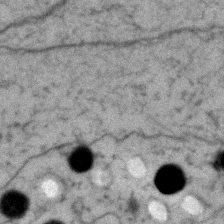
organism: Zebrafish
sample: Zebrafish embryo